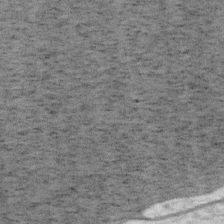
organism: Mouse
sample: OT-I killer T cells with ID8 ovarian cancer cells